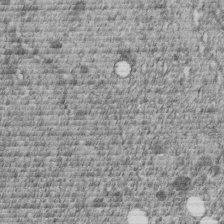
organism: C. elegans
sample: C. elegans embryo early stage